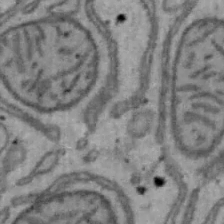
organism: Mouse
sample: Liver